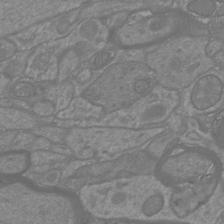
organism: Mouse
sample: Cortical neurons